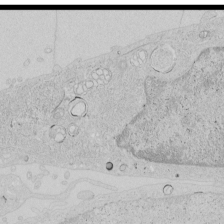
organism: Human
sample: Mitochondria in HCT116 cells